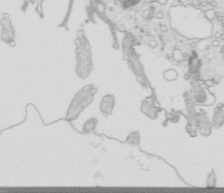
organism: Mouse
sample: Multiciliated cells